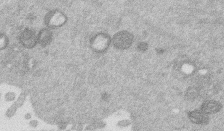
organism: Mouse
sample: Dividing mouse embryo 1 cell stage